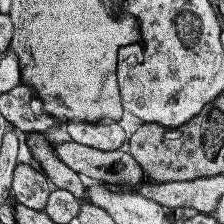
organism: Human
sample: Temporal Lobe